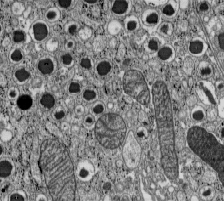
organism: C57BL Mouse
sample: Pancreatic islet